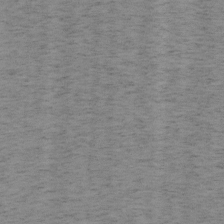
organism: Mouse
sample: OT-I killer T cells with ID8 ovarian cancer cells